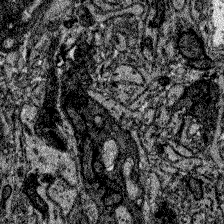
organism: Zebrafish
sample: Larval olfactory bulb